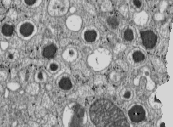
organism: C57BL Mouse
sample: Pancreatic islet